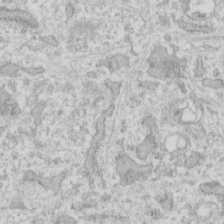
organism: Human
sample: Fibroblast cells